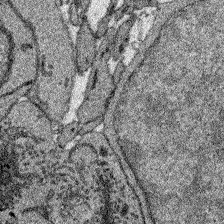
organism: Zebrafish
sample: Larval olfactory bulb